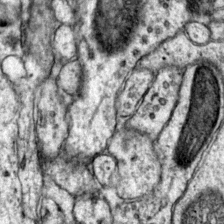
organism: Mouse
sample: Primary visual cortex